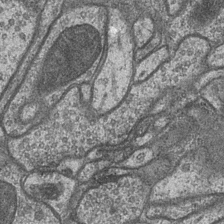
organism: Drosophila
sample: Optic medulla